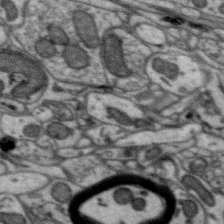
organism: Zebra finch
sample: Brain